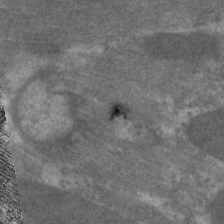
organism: C. elegans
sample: Pharynx